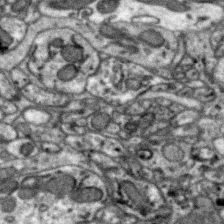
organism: Zebra finch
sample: Brain